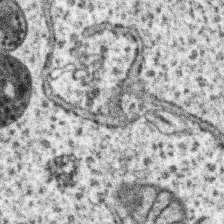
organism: Human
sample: HeLa cells